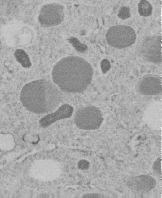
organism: C. elegans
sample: C. elegans embryo early stage